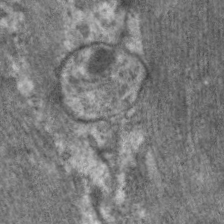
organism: C. elegans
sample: Pharynx